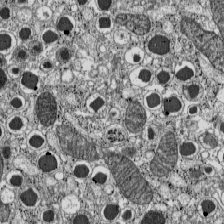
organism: C57BL Mouse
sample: Pancreatic islet